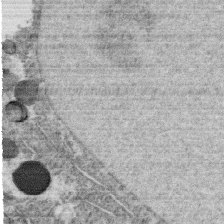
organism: C. elegans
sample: C. elegans oocyte; sperm cells